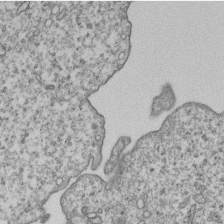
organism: Human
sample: MDA-MB-231 cells